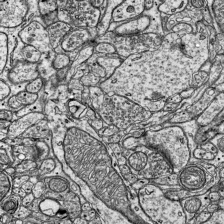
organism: Mouse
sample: Visual Cortex